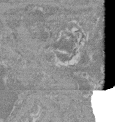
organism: Mouse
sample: Glomerulus